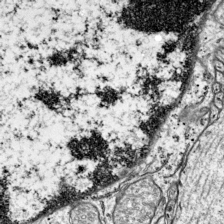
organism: Mouse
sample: Visual Cortex